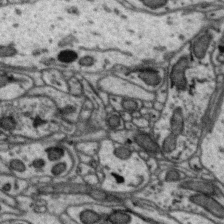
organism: Zebra finch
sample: Brain